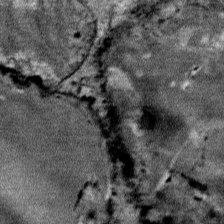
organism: Mouse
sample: Mouse Salivary gland